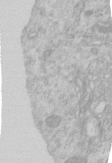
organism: Human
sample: Centriole in RPE cells